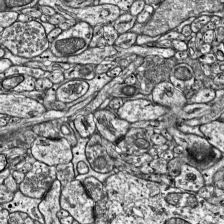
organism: Mouse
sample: Visual Cortex